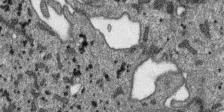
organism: Human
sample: Lung epithelial cells infected with SARS-CoV-2